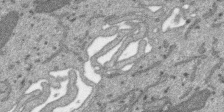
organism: Human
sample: Lung epithelial cells infected with SARS-CoV-2